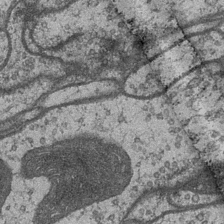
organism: Drosophila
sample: Optic medulla